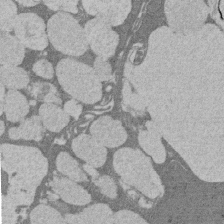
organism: Rat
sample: Salivary granule